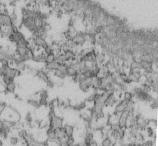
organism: Mouse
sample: Cilia; retinal pigment epithelium